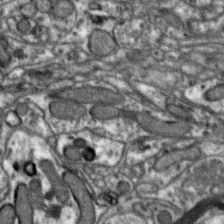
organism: Zebra finch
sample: Brain